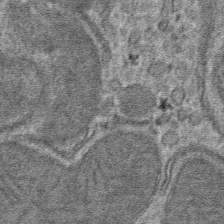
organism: Mouse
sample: Mouse hepatocytes